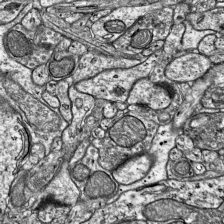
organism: Mouse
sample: Visual Cortex